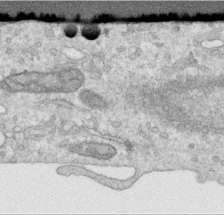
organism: Human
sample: Centriole in RPE cells